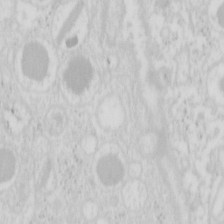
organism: Mouse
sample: Pancreas